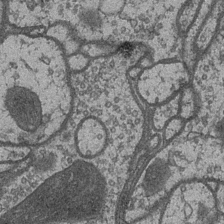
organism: Drosophila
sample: Optic medulla